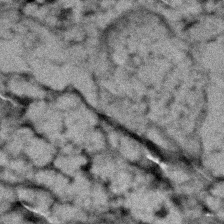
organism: Zebrafish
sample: Zebrafish embryo